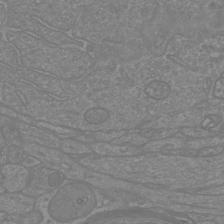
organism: Mouse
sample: Cortical neurons